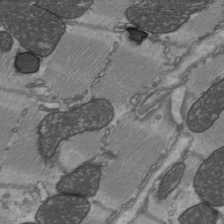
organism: C57BL Mouse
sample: Heart